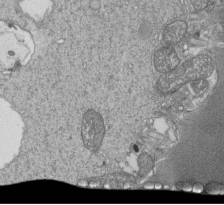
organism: Tetrahymena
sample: Cilia in tetrahymena